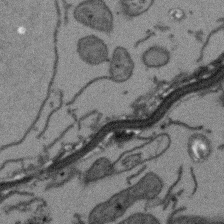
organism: Arabidopsis thaliana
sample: Root tip